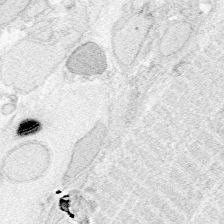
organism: Zebrafish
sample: Whole-Brain